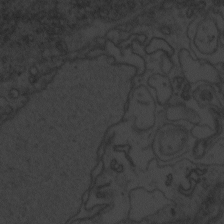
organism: Zebrafish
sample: Macrophage infected with Toxoplasma gondii